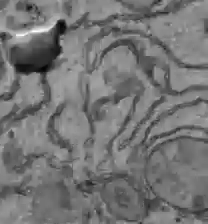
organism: C57BL Mouse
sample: Liver